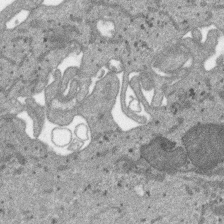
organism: Human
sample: Lung epithelial cells infected with SARS-CoV-2